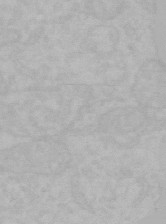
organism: Mouse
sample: Choroid plexus